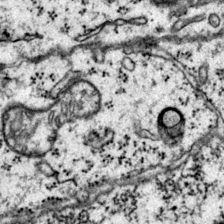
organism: Mouse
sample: Primary visual cortex